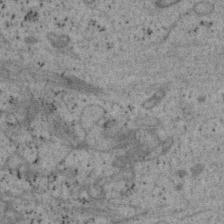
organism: Human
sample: HeLa cells